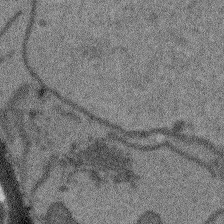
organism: Arabidopsis thaliana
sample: Root tip